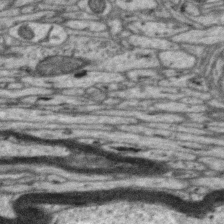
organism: Zebra finch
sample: Brain